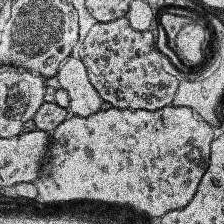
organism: Human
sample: Temporal Lobe